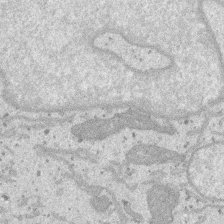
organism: Human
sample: Lung epithelial cells infected with SARS-CoV-2